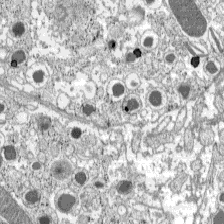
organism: C57BL Mouse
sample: Pancreatic islet